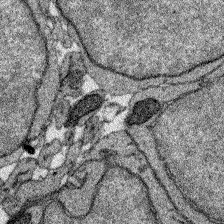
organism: Zebrafish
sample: Larval olfactory bulb